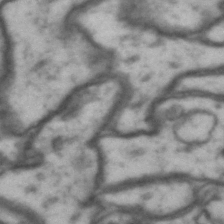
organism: Drosophila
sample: Brain